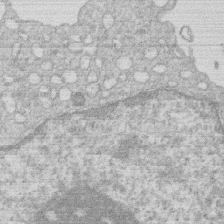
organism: Human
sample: Macrophage cells